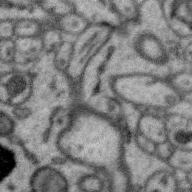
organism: Zebra finch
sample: Brain